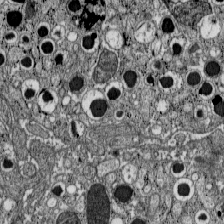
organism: C57BL Mouse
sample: Pancreatic islet